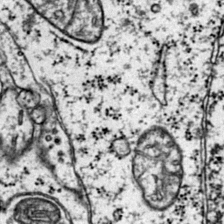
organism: Mouse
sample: Primary visual cortex